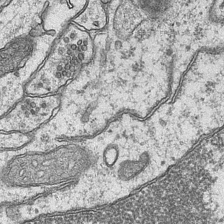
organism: Mouse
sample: CA1 Hippocampus